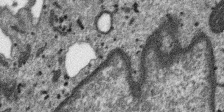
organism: Human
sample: Lung epithelial cells infected with SARS-CoV-2